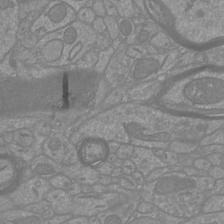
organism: Mouse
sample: Cortical neurons